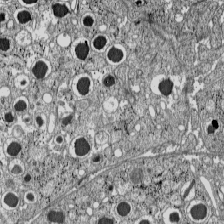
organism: C57BL Mouse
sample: Pancreatic islet